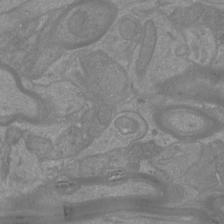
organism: Mouse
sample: Cortical neurons